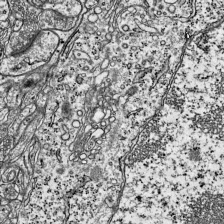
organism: Mouse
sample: Visual Cortex